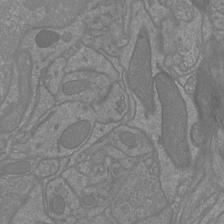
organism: Mouse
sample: Cortical neurons